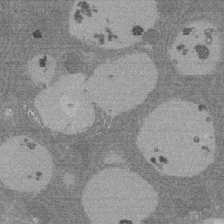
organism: Rat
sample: Salivary granule